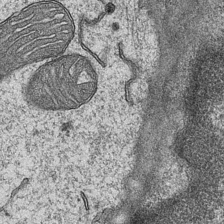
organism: Mouse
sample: CA1 Hippocampus